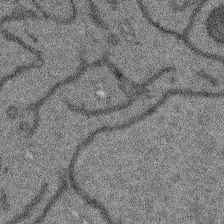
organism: Arabidopsis thaliana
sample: Root tip